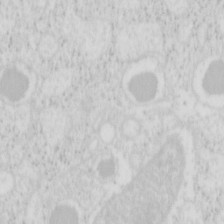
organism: Mouse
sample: Pancreas